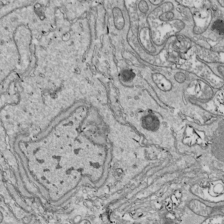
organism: Drosophila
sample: Cell division; meiosis; drosophila spermatocytes